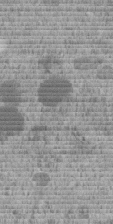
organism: C. elegans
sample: C. elegans embryo early stage